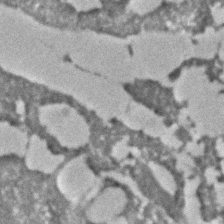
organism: C. elegans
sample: C. elegans embryo